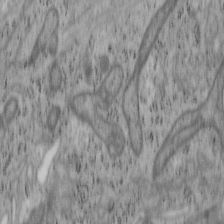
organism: Human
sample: HeLa cells